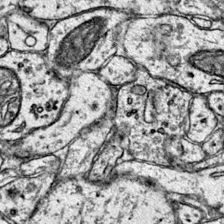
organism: Mouse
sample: Primary visual cortex